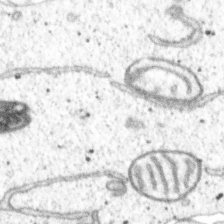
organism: Human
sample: HeLa cells